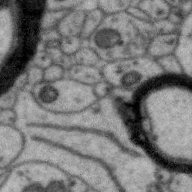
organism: Zebra finch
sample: Brain